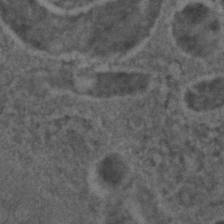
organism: C. elegans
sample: C. elegans embryo